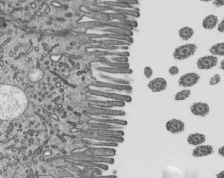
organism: Mouse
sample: Mouse epididymis efferent ductule cilia